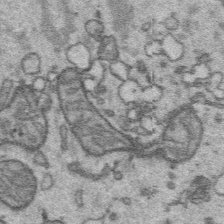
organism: Platynereis dumerilii